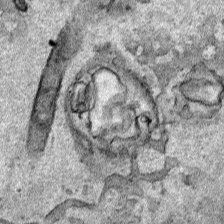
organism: Human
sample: Mitochondria in HCT116 cells